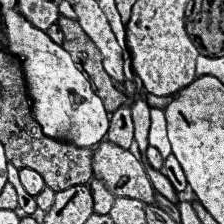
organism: Human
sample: Temporal Lobe